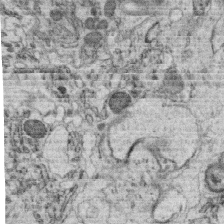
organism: C. elegans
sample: C. elegans oocyte; sperm cells